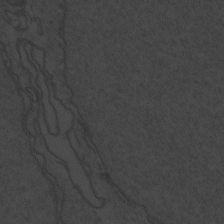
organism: Zebrafish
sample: Macrophage infected with Toxoplasma gondii